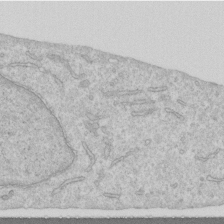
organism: Human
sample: Centriole in RPE cells